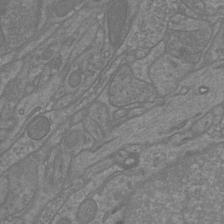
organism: Mouse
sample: Cortical neurons